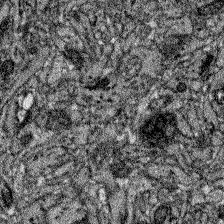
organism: Zebrafish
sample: Larval olfactory bulb